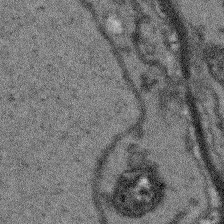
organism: Arabidopsis thaliana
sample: Root tip